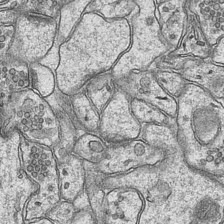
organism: Mouse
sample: CA1 Hippocampus